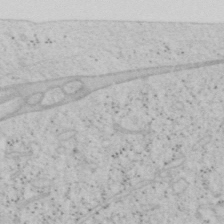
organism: Human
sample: HeLa cells